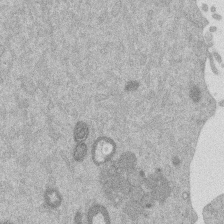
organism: Mouse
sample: Dividing mouse embryo 1 cell stage